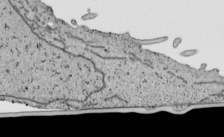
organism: Human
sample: Mitochondria in HCT116 cells